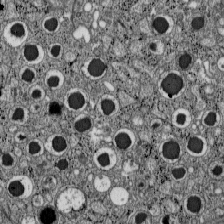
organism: C57BL Mouse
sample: Pancreatic islet